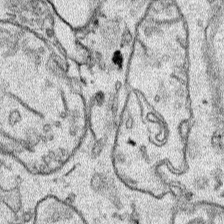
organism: Human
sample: Mitochondria in HCT116 cells